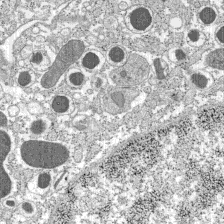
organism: C57BL Mouse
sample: Pancreatic islet